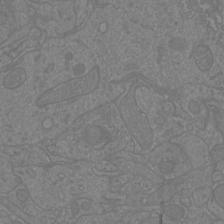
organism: Mouse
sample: Cortical neurons